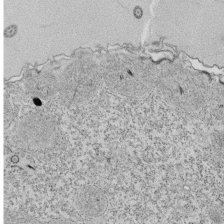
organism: Tetrahymena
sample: Cilia in tetrahymena